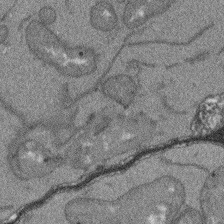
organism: Arabidopsis thaliana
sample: Root tip